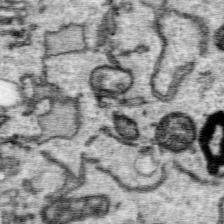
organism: Human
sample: HeLa cells